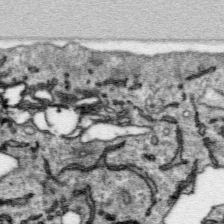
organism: Human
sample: HeLa cells